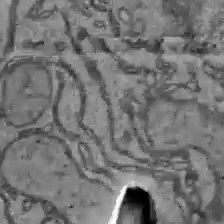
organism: C57BL Mouse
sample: Liver